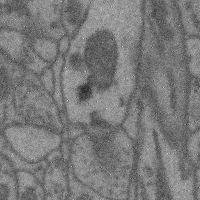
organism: Mouse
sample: Cerebral cortex